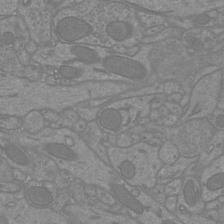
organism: Mouse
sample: Cortical neurons